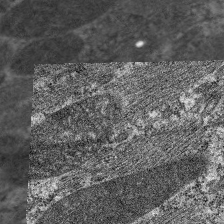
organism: C. elegans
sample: Pharynx